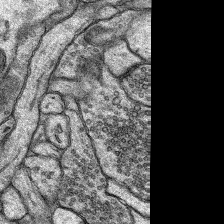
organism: Rat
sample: Hippocampus